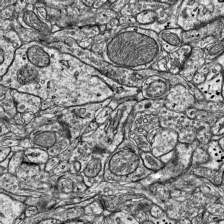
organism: Mouse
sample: Visual Cortex